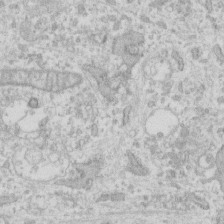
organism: Human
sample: Fibroblast cells